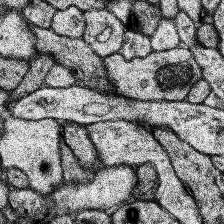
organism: Human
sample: Temporal Lobe